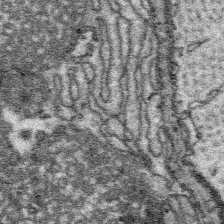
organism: Platynereis dumerilii